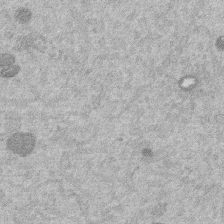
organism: Mouse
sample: Dividing mouse embryo 1 cell stage